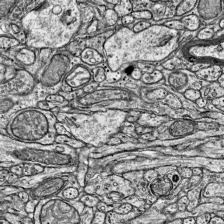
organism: Mouse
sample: Visual Cortex